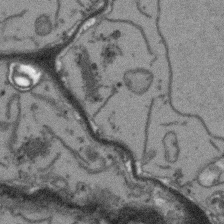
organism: Arabidopsis thaliana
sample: Root tip